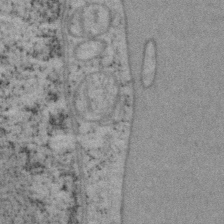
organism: Human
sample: HeLa cells